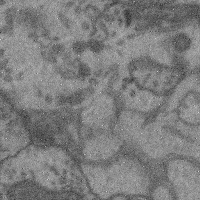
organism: Mouse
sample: Cerebral cortex